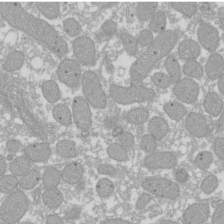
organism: Xenopus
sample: Cilia; centrioles in frog embryo cells